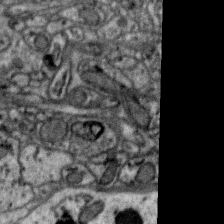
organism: Zebra finch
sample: Brain